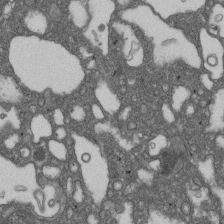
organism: Drosophila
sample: Nephrocyte